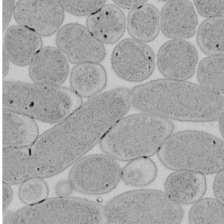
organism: E. coli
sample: Bacterial nucleoid